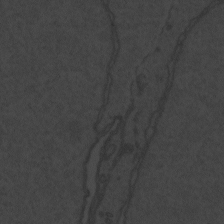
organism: Zebrafish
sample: Macrophage infected with Toxoplasma gondii